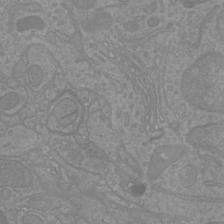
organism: Mouse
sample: Cortical neurons